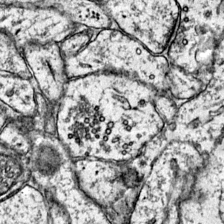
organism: Mouse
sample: Primary visual cortex